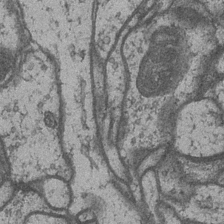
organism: Drosophila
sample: Optic medulla